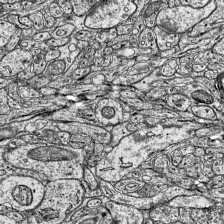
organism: Mouse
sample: Visual Cortex